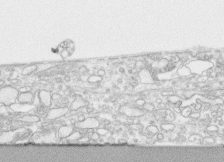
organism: Human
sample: CRL-1474